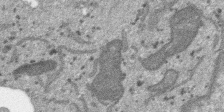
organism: Human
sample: Lung epithelial cells infected with SARS-CoV-2